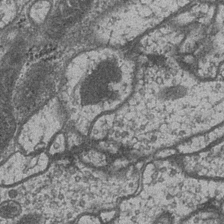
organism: Drosophila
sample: Optic medulla